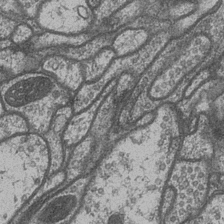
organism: Drosophila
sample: Optic medulla